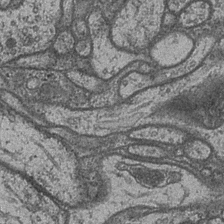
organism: Drosophila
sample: Optic medulla